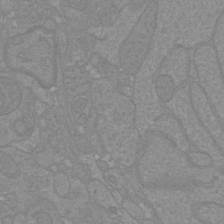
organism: Mouse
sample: Cortical neurons